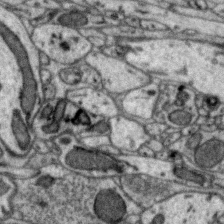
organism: Zebra finch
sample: Brain